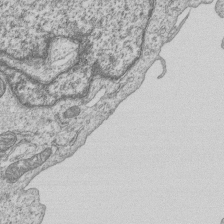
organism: Human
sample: MDA-MB-231 cells